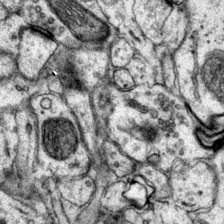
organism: Mouse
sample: Primary visual cortex